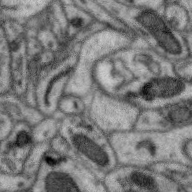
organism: Zebra finch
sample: Brain